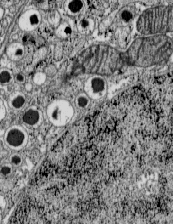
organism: C57BL Mouse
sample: Pancreatic islet